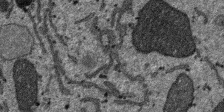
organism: Human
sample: Lung epithelial cells infected with SARS-CoV-2